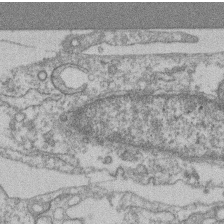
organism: Mouse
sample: T cell stromal cell synapse